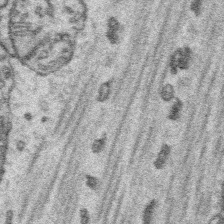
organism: Platynereis dumerilii